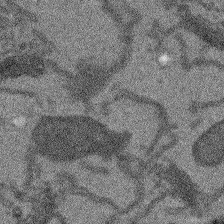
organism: Arabidopsis thaliana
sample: Root tip